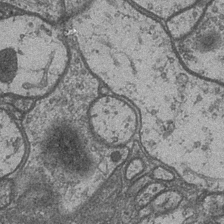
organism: Drosophila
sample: Optic medulla